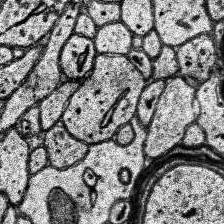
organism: Human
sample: Temporal Lobe